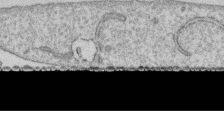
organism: Human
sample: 1205lu cells